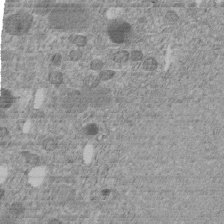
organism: C. elegans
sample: C. elegans embryo early stage